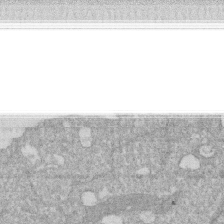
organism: Human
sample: HIV infected U937 cells